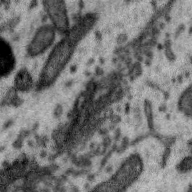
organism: Zebra finch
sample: Brain